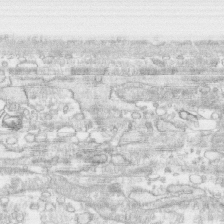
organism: Human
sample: CRL-1474